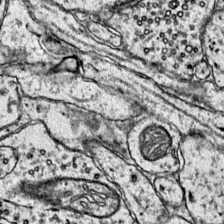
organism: Mouse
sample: Primary visual cortex